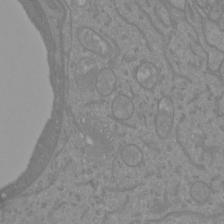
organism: Mouse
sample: Cortical neurons